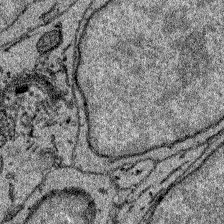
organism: Zebrafish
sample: Larval olfactory bulb